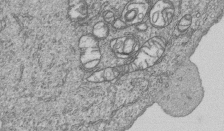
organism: Human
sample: MDA-MB-231 cells